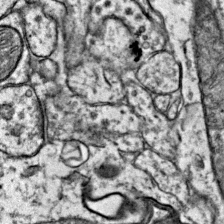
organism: Mouse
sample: Primary visual cortex